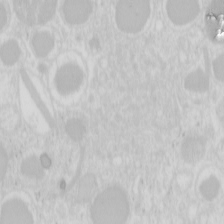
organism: Mouse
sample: Pancreas